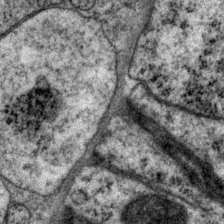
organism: P. pacificus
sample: Pharynx